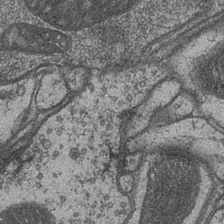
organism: Drosophila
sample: Optic medulla